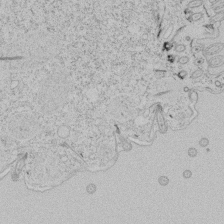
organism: Tetrahymena